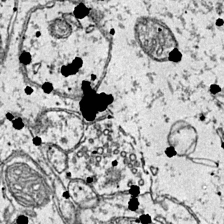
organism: Mouse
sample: Primary visual cortex